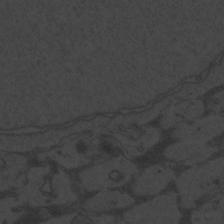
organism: Zebrafish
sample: Macrophage infected with Toxoplasma gondii